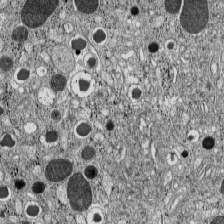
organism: C57BL Mouse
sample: Pancreatic islet